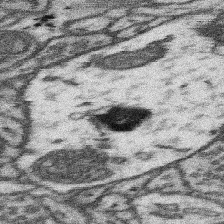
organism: Mouse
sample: Somatosensory cortex neuropil